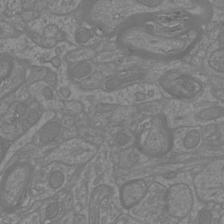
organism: Mouse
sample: Cortical neurons